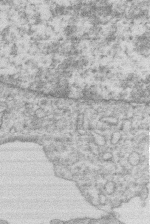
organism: Human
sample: Macrophage cells